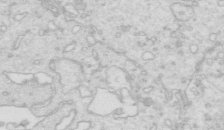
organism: Mouse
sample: Multiciliated cells